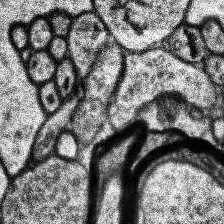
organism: Human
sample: Temporal Lobe